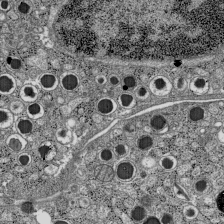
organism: C57BL Mouse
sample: Pancreatic islet